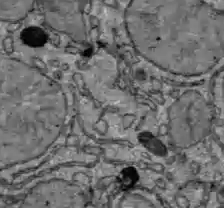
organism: C57BL Mouse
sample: Liver